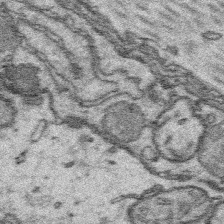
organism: Platynereis dumerilii